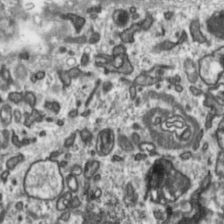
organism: Toxoplasma gondii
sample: Parasites in a vacuole inside a host cell